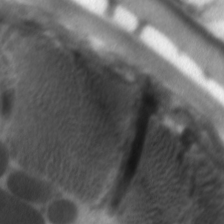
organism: C. elegans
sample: Pharynx